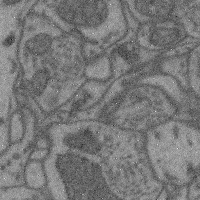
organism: Mouse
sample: Cerebral cortex